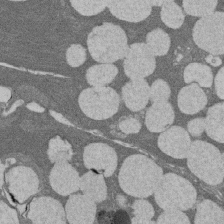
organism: Rat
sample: Salivary granule